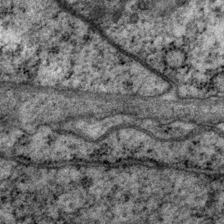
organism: P. pacificus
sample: Pharynx